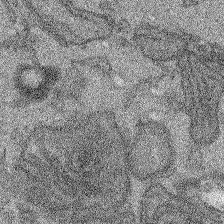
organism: Human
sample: HeLa cells